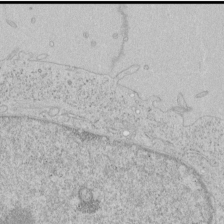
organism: Human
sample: Mitochondria in HCT116 cells